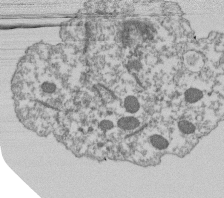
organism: Dictyostelium discoideum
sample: Dictyostelium multivesicular bodies